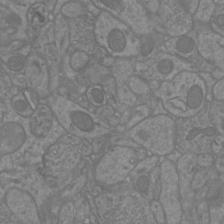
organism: Mouse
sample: Cortical neurons